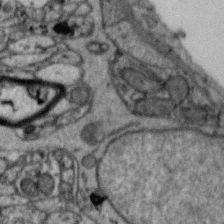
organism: Zebra finch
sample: Brain